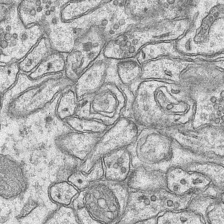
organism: Mouse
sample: CA1 Hippocampus